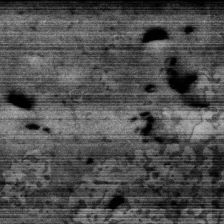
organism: Mouse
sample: Activated OT-1 CD8+ T cells